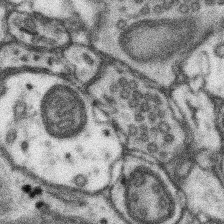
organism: Mouse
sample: Somatosensory cortex neuropil